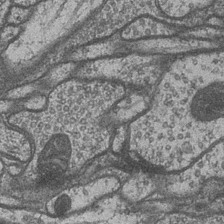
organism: Drosophila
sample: Optic medulla